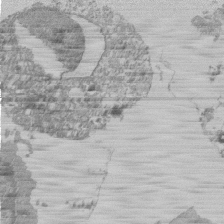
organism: Mouse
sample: Activated Pmel transgenic CD8+ T Cells